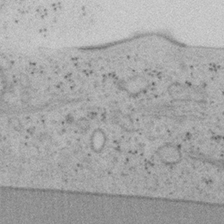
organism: Human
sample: HeLa cells